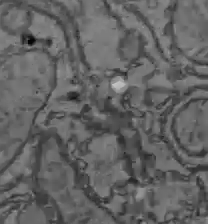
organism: C57BL Mouse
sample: Liver